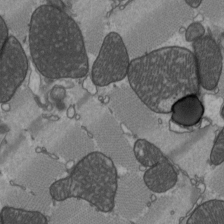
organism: C57BL Mouse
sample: Heart